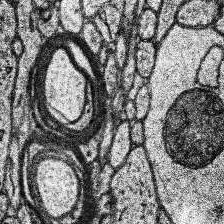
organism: Human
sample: Temporal Lobe